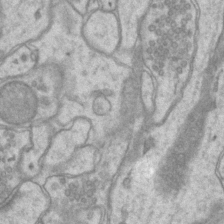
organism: Mouse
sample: CA1 Hippocampus